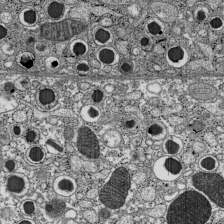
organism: C57BL Mouse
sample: Pancreatic islet